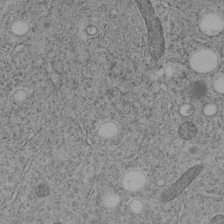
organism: C. elegans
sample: C. elegans embryo early stage